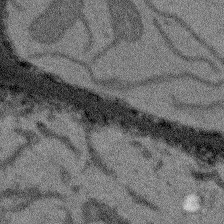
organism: Arabidopsis thaliana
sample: Root tip